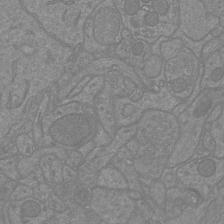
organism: Mouse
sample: Cortical neurons